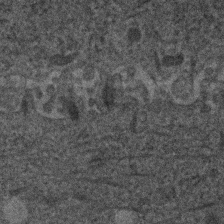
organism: Human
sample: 1205lu cells